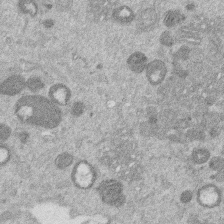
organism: Mouse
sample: Dividing mouse embryo 1 cell stage